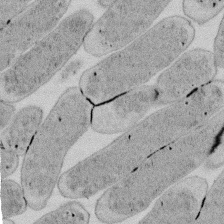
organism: E. coli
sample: Bacterial nucleoid